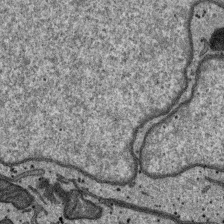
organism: Human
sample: Lung epithelial cells, uninfected (mock) control